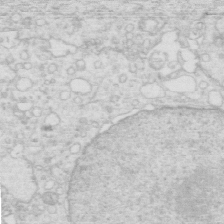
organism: Mouse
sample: Multiciliated cells